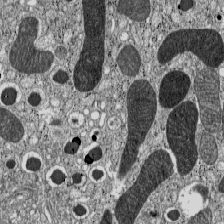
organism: C57BL Mouse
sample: Pancreatic islet